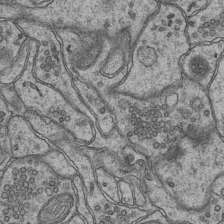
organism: Mouse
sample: CA1 Hippocampus